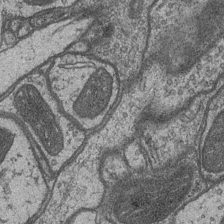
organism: Drosophila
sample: Optic medulla